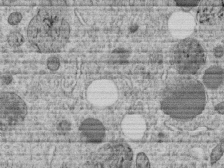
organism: C. elegans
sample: C. elegans embryo early stage